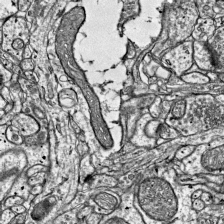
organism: Mouse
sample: Visual Cortex